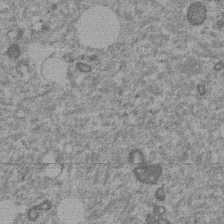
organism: Mouse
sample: Dividing mouse embryo 1 cell stage